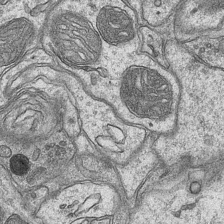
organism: Mouse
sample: CA1 Hippocampus